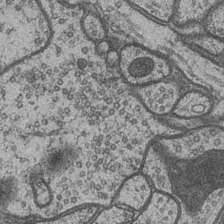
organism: Drosophila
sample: Optic medulla